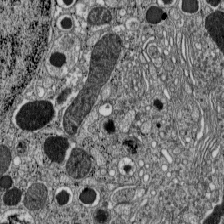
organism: C57BL Mouse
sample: Pancreatic islet